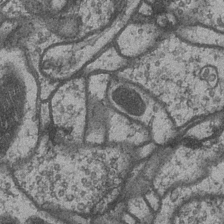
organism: Drosophila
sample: Optic medulla